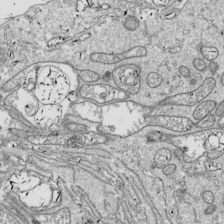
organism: Drosophila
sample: Cell division; meiosis; drosophila spermatocytes